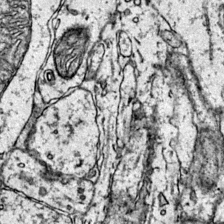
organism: Mouse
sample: Primary visual cortex